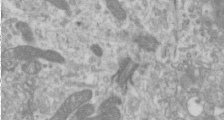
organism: Human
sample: Cilia; basal body in RPE cells